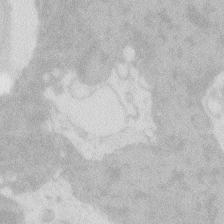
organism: Zebrafish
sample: Macrophage